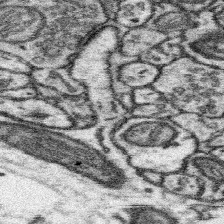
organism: Mouse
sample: Somatosensory cortex neuropil